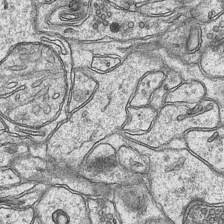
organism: Mouse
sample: CA1 Hippocampus